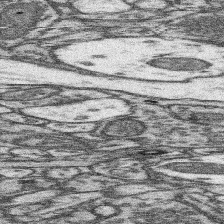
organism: Mouse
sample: Somatosensory cortex neuropil